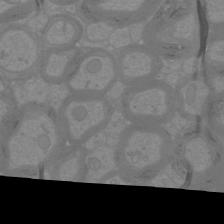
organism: Mouse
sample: Cortical neurons